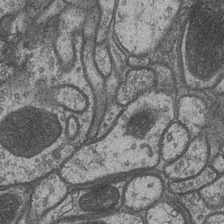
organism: Drosophila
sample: Optic medulla